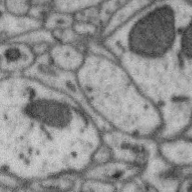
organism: Zebra finch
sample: Brain